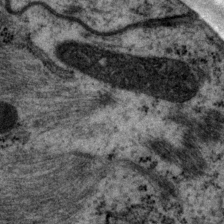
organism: P. pacificus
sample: Pharynx